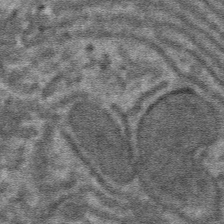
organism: Mouse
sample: Mouse hepatocytes